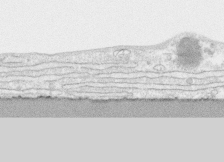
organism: Human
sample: CRL-1474